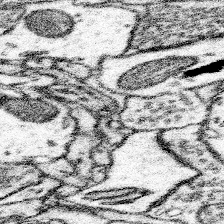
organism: Mouse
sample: Somatosensory cortex neuropil